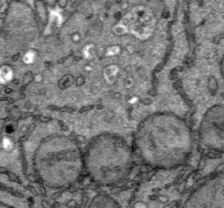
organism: C57BL Mouse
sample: Liver